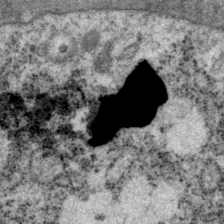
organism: P. pacificus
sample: Pharynx